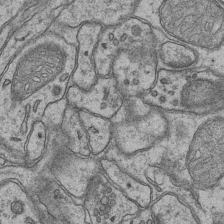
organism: Mouse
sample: CA1 Hippocampus